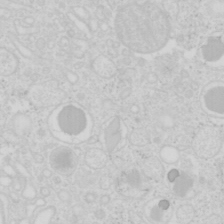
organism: Mouse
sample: Pancreas